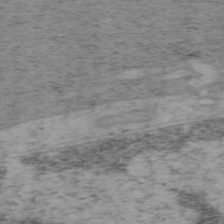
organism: Mouse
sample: OT-I killer T cells with ID8 ovarian cancer cells